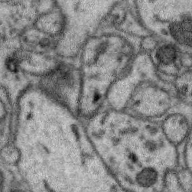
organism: Zebra finch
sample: Brain